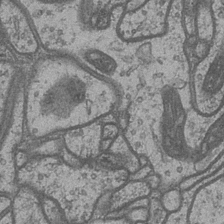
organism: Drosophila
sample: Optic medulla